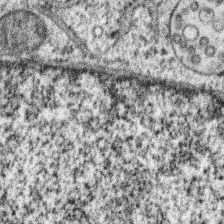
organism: Human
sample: HeLa cells